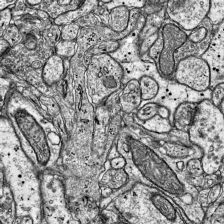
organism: Mouse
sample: Visual Cortex